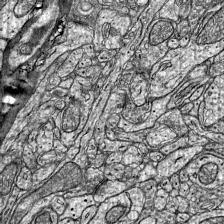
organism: Mouse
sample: Visual Cortex